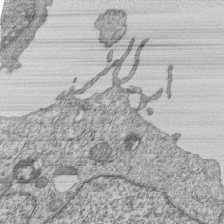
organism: Human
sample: MDA-MB-231 cells